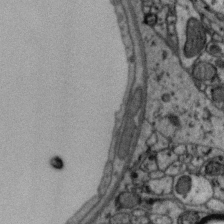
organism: Zebra finch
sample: Brain